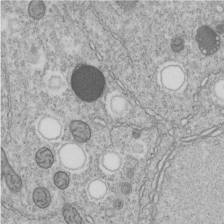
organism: C. elegans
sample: C. elegans embryo early stage